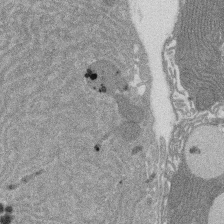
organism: Rat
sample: Salivary granule